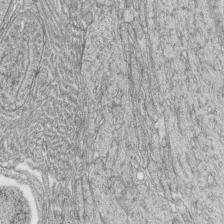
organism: Zebrafish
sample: synaptic ribbons in rod cells and cone cells